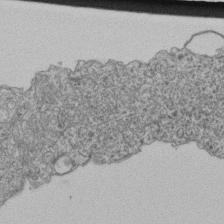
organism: Human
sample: Retinal organoid Rod and Cone cells